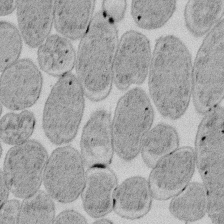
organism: E. coli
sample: Bacterial nucleoid